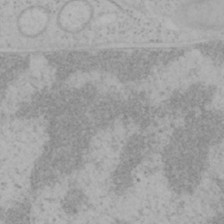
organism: Mouse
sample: OT-I killer T cells with ID8 ovarian cancer cells